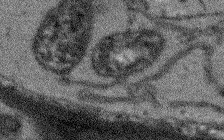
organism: Arabidopsis thaliana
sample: Root tip